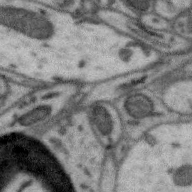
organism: Zebra finch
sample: Brain